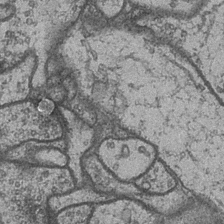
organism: Drosophila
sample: Optic medulla